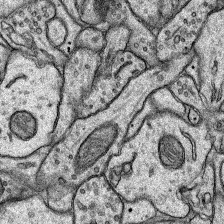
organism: Rat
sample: Hippocampus